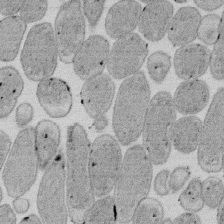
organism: E. coli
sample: Bacterial nucleoid